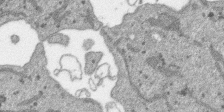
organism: Human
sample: Lung epithelial cells infected with SARS-CoV-2